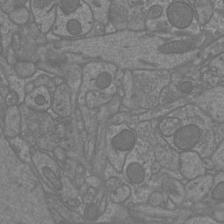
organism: Mouse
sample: Cortical neurons